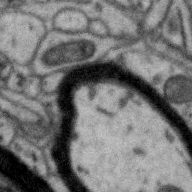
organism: Zebra finch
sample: Brain